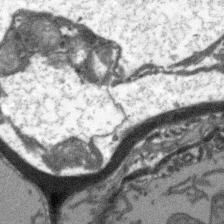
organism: Arabidopsis thaliana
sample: Root tip